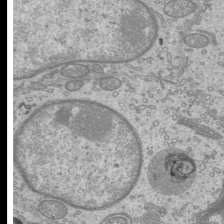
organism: Mouse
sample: Cilia; mouse epididymis